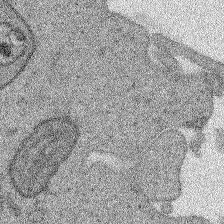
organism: Human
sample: HeLa cells